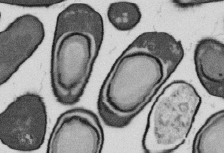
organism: B. subtilis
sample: Bacterial spore